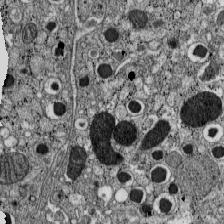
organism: C57BL Mouse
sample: Pancreatic islet